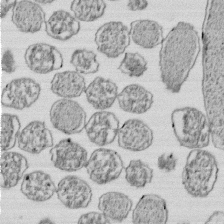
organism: E. coli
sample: Bacterial nucleoid